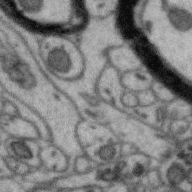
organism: Zebra finch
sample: Brain